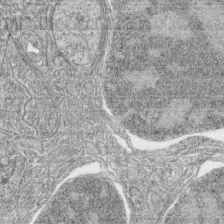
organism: Zebrafish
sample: synaptic ribbons in rod cells and cone cells